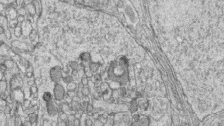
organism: Zebrafish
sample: synaptic ribbons in rod cells and cone cells